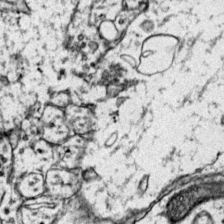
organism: Mouse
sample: Primary visual cortex